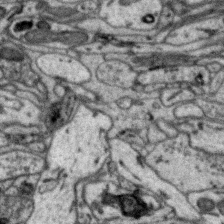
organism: Zebra finch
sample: Brain